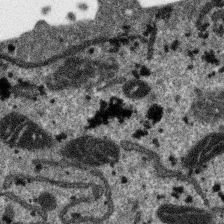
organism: Human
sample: Lung epithelial cells infected with SARS-CoV-2